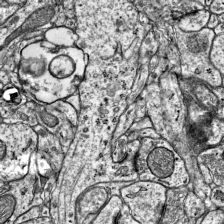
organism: Mouse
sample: Visual Cortex